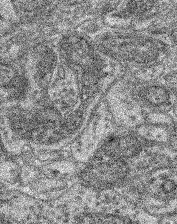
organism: Mouse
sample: Retina